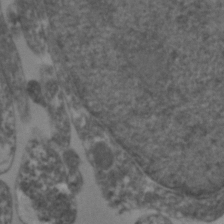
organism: Zebrafish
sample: Zebrafish embryo